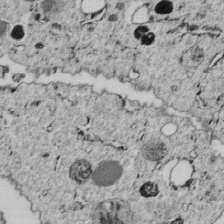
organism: C. elegans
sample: C. elegans embryo early stage